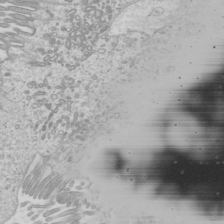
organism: Mouse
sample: Cilia; mouse epididymis